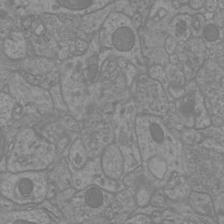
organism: Mouse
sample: Cortical neurons